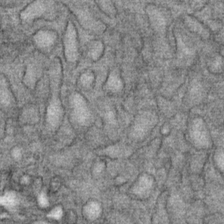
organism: Mouse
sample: Mouse Salivary gland